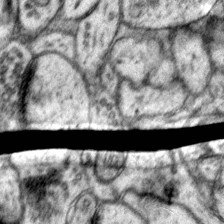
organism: Mouse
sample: Primary visual cortex